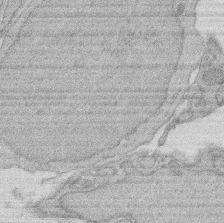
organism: Rat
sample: Salivary granule